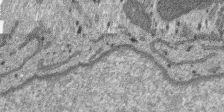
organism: Human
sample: Lung epithelial cells infected with SARS-CoV-2